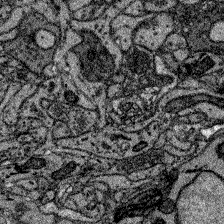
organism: Zebrafish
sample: Larval olfactory bulb